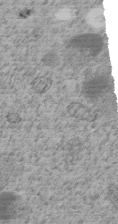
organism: C. elegans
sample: C. elegans embryo early stage